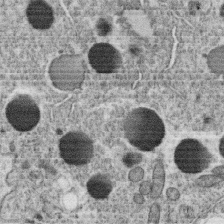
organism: C. elegans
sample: C. elegans oocyte; sperm cells